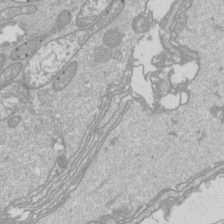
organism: Drosophila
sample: Cell division; meiosis; drosophila spermatocytes